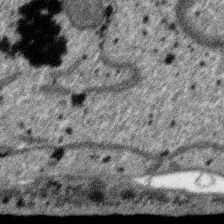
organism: Human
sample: Lung epithelial cells infected with SARS-CoV-2